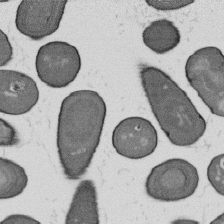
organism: B. subtilis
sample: Bacterial spore